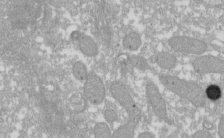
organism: Xenopus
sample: Cilia; centrioles in frog embryo cells